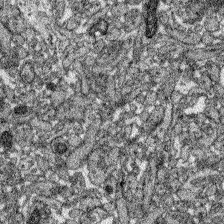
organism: Zebrafish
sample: Larval olfactory bulb